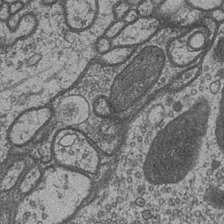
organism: Drosophila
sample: Optic medulla